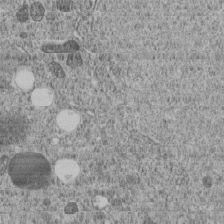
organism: C. elegans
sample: C. elegans embryo early stage